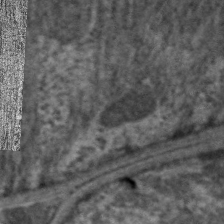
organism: C. elegans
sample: Pharynx